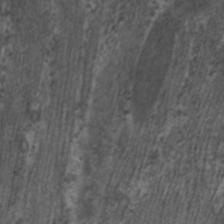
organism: C. elegans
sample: Pharynx